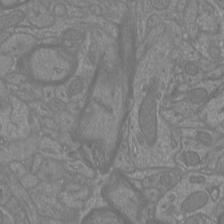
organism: Mouse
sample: Cortical neurons